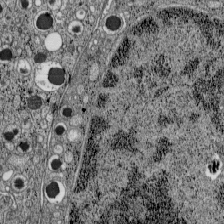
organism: C57BL Mouse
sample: Pancreatic islet